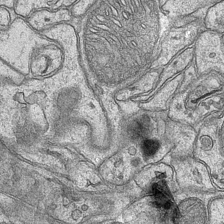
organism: Mouse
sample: CA1 Hippocampus